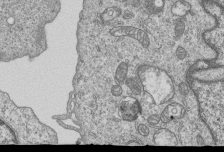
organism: Human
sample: MDA-MB-231 cells